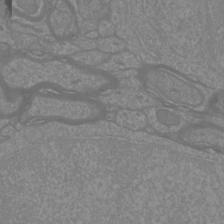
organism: Mouse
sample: Cortical neurons